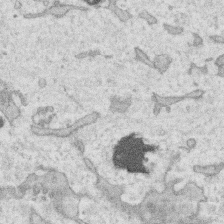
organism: Human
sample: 1205lu cells